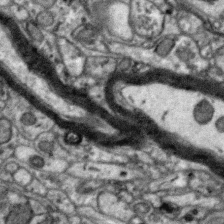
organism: Zebra finch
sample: Brain